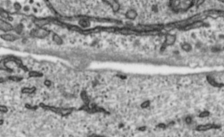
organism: Toxoplasma gondii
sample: Parasites in a vacuole inside a host cell